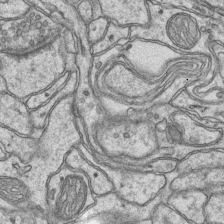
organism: Mouse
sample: CA1 Hippocampus